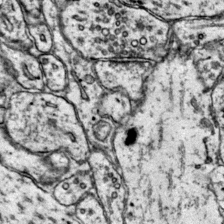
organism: Mouse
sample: Primary visual cortex